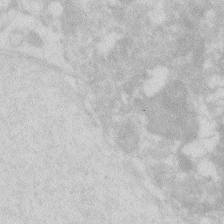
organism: Zebrafish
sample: Macrophage